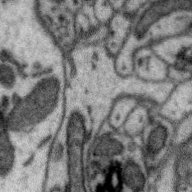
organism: Zebra finch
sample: Brain